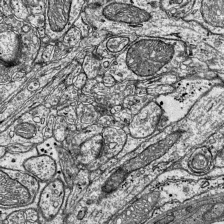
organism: Mouse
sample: Visual Cortex